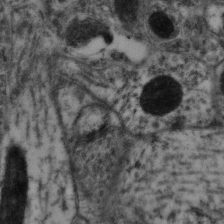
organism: Mouse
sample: Neocortex